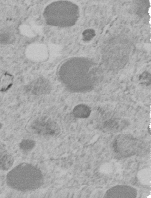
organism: C. elegans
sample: C. elegans embryo early stage